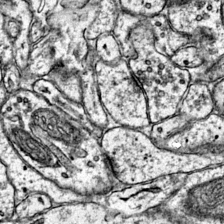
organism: Mouse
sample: Primary visual cortex